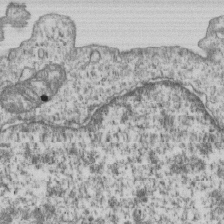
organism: Human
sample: MDA-MB-231 cells